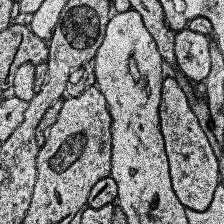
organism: Human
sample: Temporal Lobe